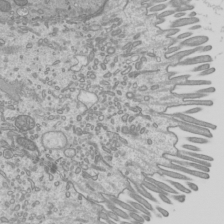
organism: Mouse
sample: Cilia; mouse epididymis